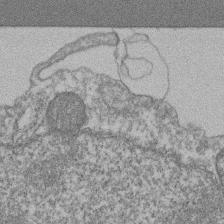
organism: Mouse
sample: T cell stromal cell synapse